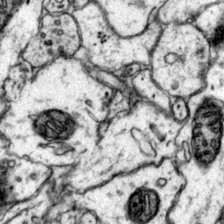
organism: Mouse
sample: Primary visual cortex